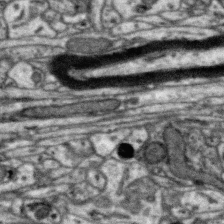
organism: Zebra finch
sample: Brain